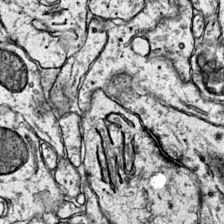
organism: Mouse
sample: Primary visual cortex